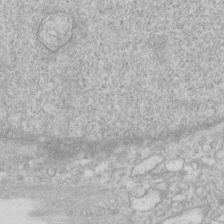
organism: Human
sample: Fibroblast cells